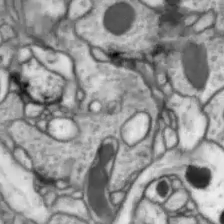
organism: Drosophila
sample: Optic lobe